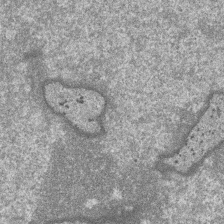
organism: Human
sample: Lung epithelial cells infected with SARS-CoV-2